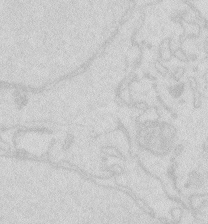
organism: Zebrafish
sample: Macrophage